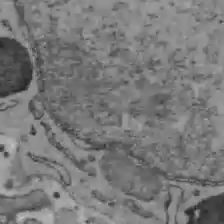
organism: C57BL Mouse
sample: Liver